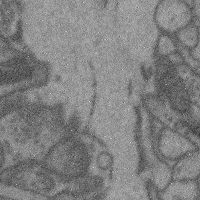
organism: Mouse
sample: Cerebral cortex